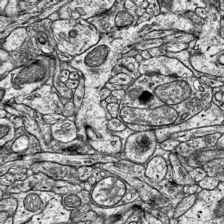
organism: Mouse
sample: Visual Cortex